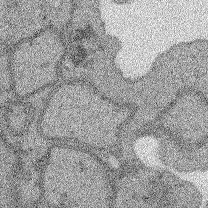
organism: Human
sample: HeLa cells